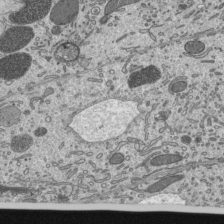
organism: Mouse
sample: Mouse epididymis efferent ductule cilia